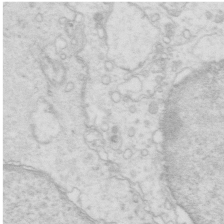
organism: Mouse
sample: Multiciliated cells